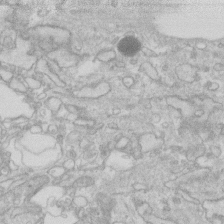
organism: Human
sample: Fibroblast cells